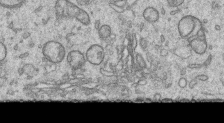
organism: Human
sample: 1205lu cells